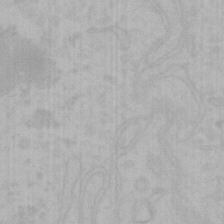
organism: Mouse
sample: Choroid plexus